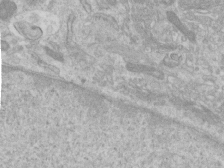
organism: Human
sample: Centriole in RPE cells